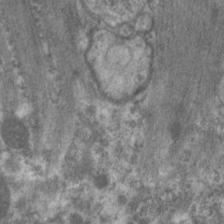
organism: C. elegans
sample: Pharynx